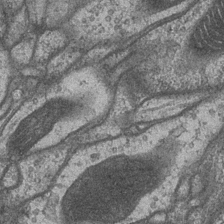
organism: Drosophila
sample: Optic medulla